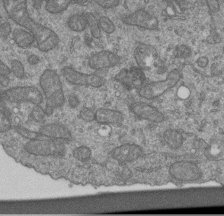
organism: Human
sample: Retinal organoid Rod and Cone cells